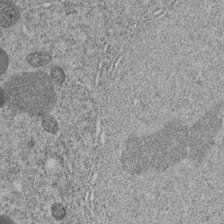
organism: C. elegans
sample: C. elegans embryo early stage